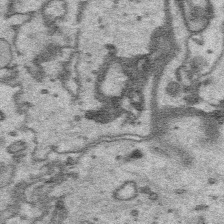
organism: Platynereis dumerilii